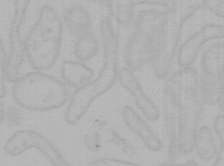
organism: Mouse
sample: Choroid plexus